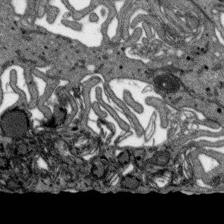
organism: Human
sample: Lung epithelial cells, uninfected (mock) control